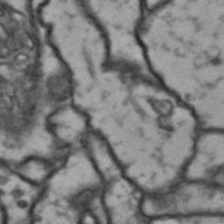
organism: Drosophila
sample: Brain